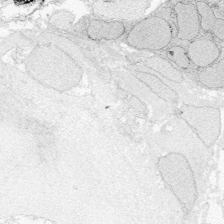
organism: Zebrafish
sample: Whole-Brain